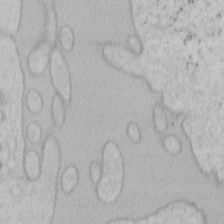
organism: Human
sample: HeLa cells